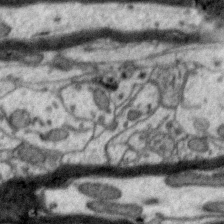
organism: Zebra finch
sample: Brain